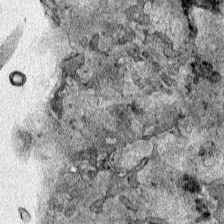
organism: Human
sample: Mitochondria in HCT116 cells